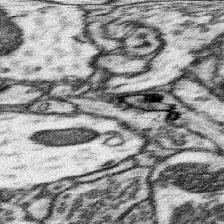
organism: Mouse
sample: Somatosensory cortex neuropil